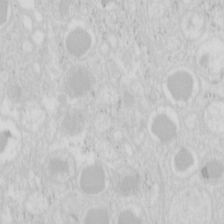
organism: Mouse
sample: Pancreas